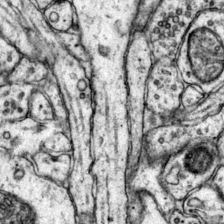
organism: Mouse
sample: Primary visual cortex